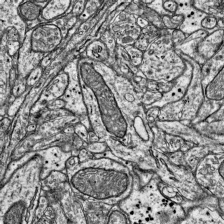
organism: Mouse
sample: Visual Cortex